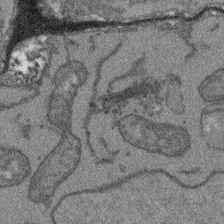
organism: Arabidopsis thaliana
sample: Root tip